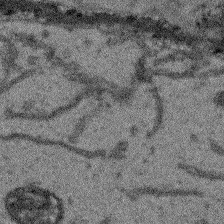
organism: Arabidopsis thaliana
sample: Root tip